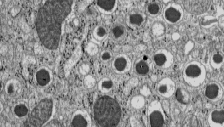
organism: C57BL Mouse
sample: Pancreatic islet